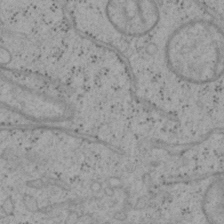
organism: Human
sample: HeLa cells